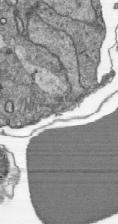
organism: Plasmodium falciparum